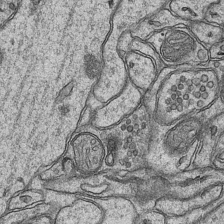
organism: Mouse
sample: CA1 Hippocampus